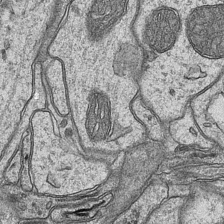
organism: Mouse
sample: CA1 Hippocampus